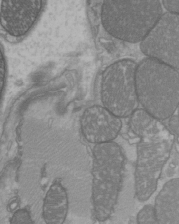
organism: C57BL Mouse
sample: Heart